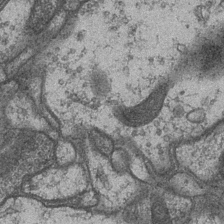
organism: Drosophila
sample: Optic medulla